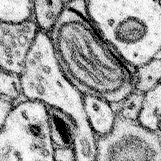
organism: Mouse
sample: Somatosensory cortex neuropil